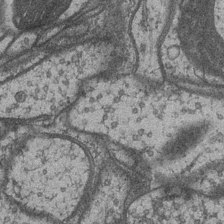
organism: Drosophila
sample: Optic medulla